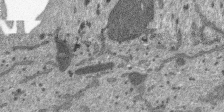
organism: Human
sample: Lung epithelial cells infected with SARS-CoV-2